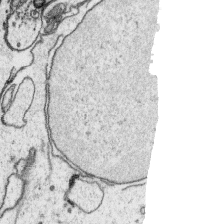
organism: Platynereis dumerilii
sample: Parapodia